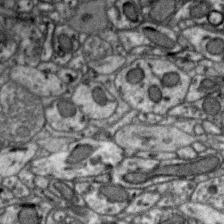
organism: Zebra finch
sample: Brain